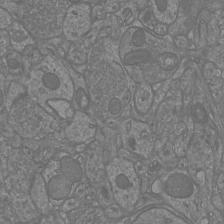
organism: Mouse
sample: Cortical neurons